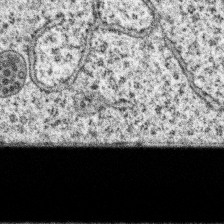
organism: Human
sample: HeLa cells